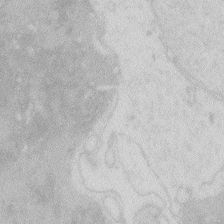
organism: Zebrafish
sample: Macrophage